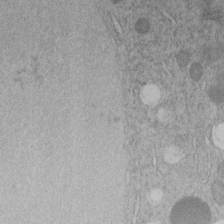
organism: C. elegans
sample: C. elegans embryo early stage